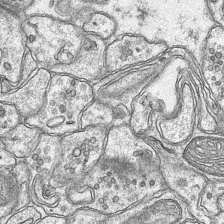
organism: Mouse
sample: CA1 Hippocampus